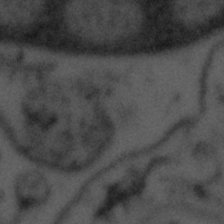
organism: Tuwongella immobilis